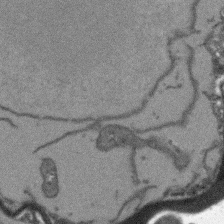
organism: Arabidopsis thaliana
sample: Root tip